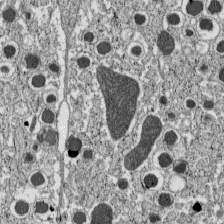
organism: C57BL Mouse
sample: Pancreatic islet